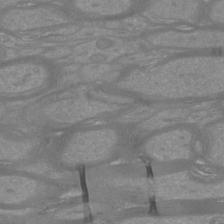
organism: Mouse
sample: Cortical neurons